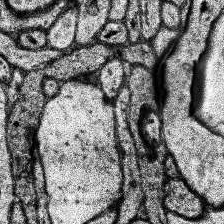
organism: Human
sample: Temporal Lobe